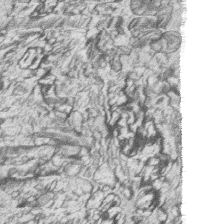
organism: Zebrafish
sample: synaptic ribbons in rod cells and cone cells